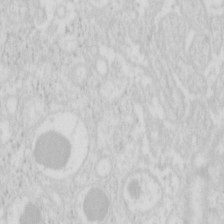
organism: Mouse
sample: Pancreas